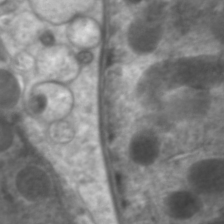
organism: C. elegans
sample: Pharynx